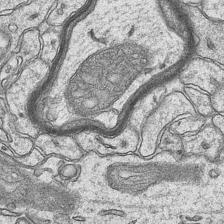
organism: Mouse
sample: CA1 Hippocampus